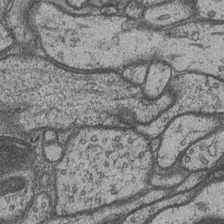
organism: Drosophila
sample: Optic medulla